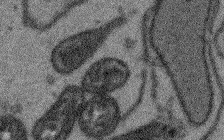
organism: Arabidopsis thaliana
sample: Root tip